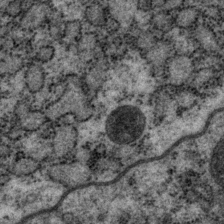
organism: P. pacificus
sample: Pharynx